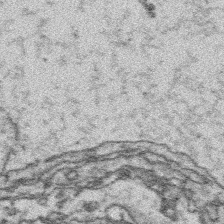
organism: Platynereis dumerilii